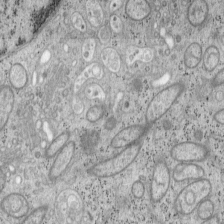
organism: Mouse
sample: OT-I killer T cells with ID8 ovarian cancer cells